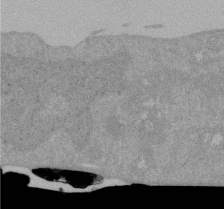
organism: Mouse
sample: ED-1 cell nuclei; centrioles